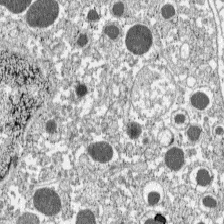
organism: C57BL Mouse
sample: Pancreatic islet